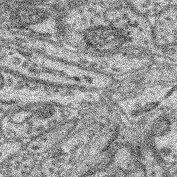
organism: Mouse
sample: Retina